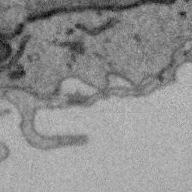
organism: Zebra finch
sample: Brain